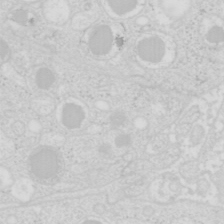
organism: Mouse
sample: Pancreas